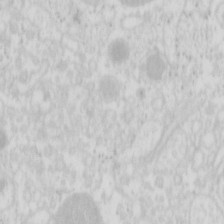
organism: Mouse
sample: Pancreas